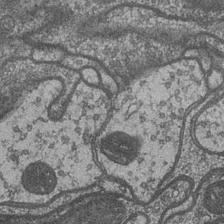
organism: Drosophila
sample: Optic medulla